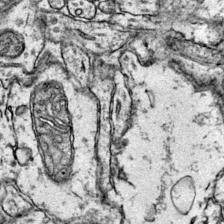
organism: Mouse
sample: Primary visual cortex